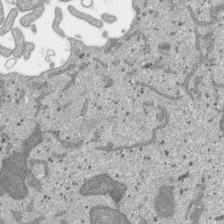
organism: Human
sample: Lung epithelial cells infected with SARS-CoV-2